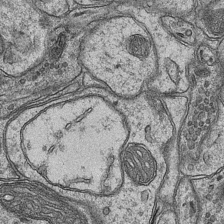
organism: Mouse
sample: CA1 Hippocampus